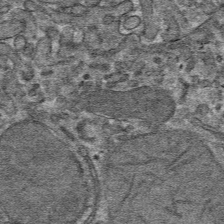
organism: Mouse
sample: Mouse hepatocytes